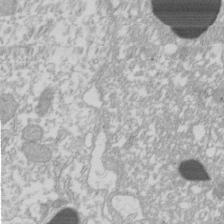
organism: Xenopus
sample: Cilia; centrioles in frog embryo cells